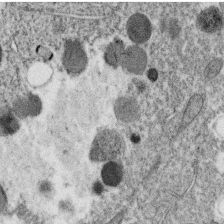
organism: C. elegans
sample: C. elegans oocyte; sperm cells